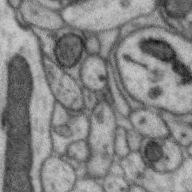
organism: Zebra finch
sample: Brain